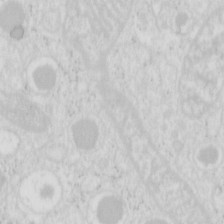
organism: Mouse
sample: Pancreas